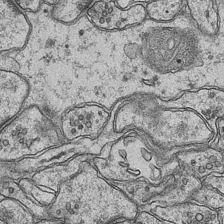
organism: Mouse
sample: CA1 Hippocampus